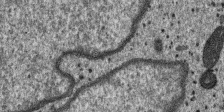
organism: Human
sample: Lung epithelial cells infected with SARS-CoV-2